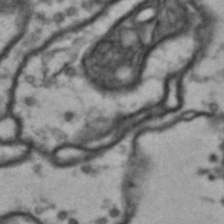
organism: Drosophila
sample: Brain